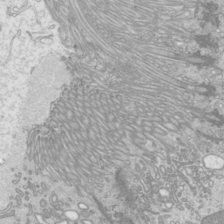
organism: Mouse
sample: Cilia; mouse epididymis